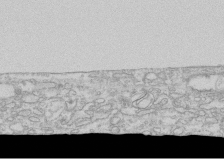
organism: Human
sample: CRL-1474